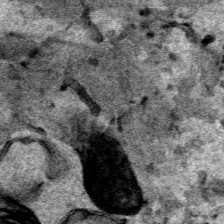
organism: Human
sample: Mitochondria in HCT116 cells